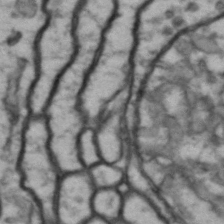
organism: Drosophila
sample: Brain